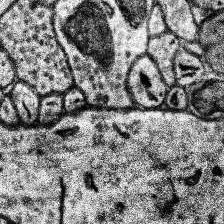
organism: Human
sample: Temporal Lobe